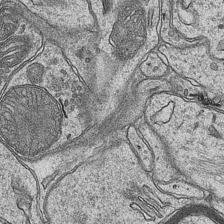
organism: Mouse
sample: CA1 Hippocampus